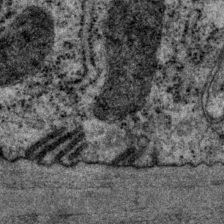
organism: P. pacificus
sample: Pharynx